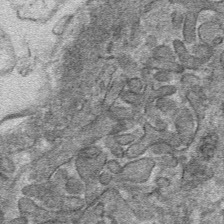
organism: Mouse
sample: Mouse hepatocytes